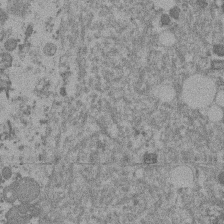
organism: Mouse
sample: Dividing mouse embryo 1 cell stage